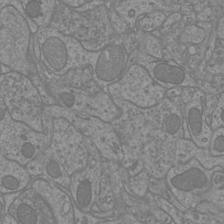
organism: Mouse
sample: Cortical neurons